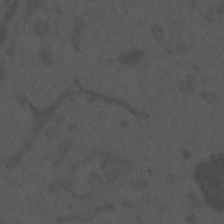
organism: Mouse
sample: Suprachiasmatic nucleus